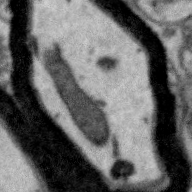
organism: Zebra finch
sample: Brain